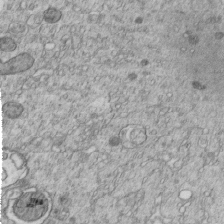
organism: C. elegans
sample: C. elegans embryo early stage